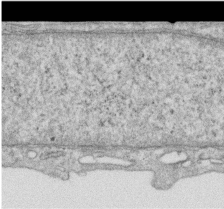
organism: Human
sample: Centriole in RPE cells